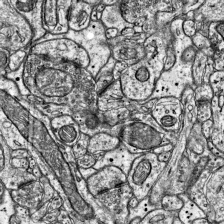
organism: Mouse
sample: Visual Cortex